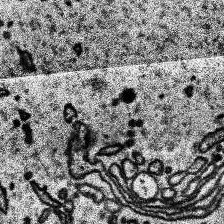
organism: Human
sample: Temporal Lobe